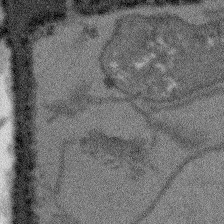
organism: Arabidopsis thaliana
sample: Root tip